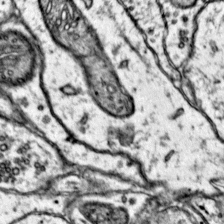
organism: Mouse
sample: Primary visual cortex